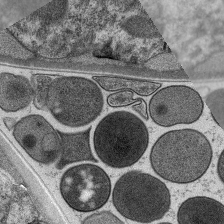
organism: C. elegans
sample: Pharynx